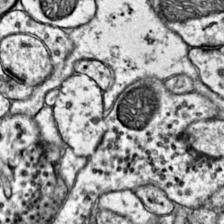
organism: Mouse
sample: Primary visual cortex